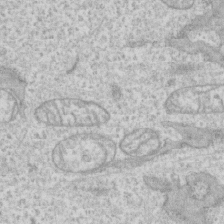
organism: Human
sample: CRL-1474